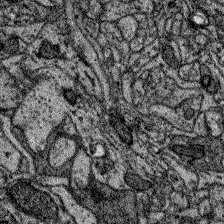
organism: Zebrafish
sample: Larval olfactory bulb